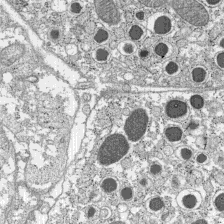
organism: C57BL Mouse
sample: Pancreatic islet